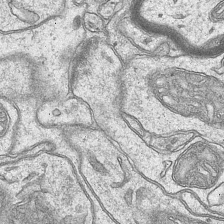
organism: Mouse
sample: CA1 Hippocampus